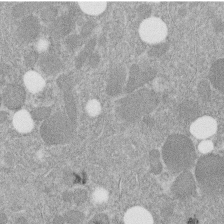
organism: C. elegans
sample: C. elegans embryo early stage